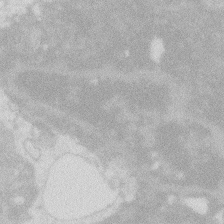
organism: Zebrafish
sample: Macrophage